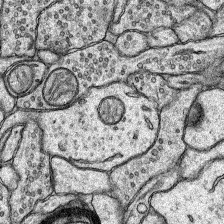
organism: Rat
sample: Hippocampus